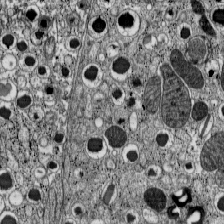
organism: C57BL Mouse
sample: Pancreatic islet